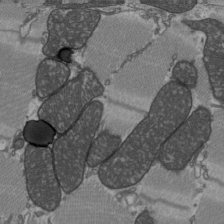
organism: C57BL Mouse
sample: Heart